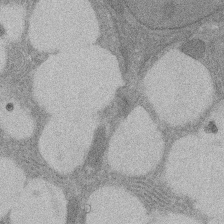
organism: Rat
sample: Salivary granule